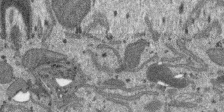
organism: Human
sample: Lung epithelial cells infected with SARS-CoV-2